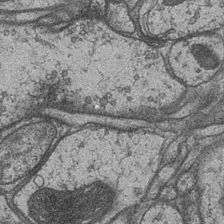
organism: Drosophila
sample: Optic medulla